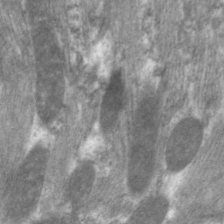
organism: C. elegans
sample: Pharynx